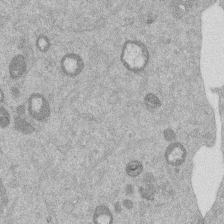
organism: Mouse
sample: Dividing mouse embryo 1 cell stage